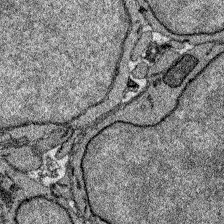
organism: Zebrafish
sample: Larval olfactory bulb